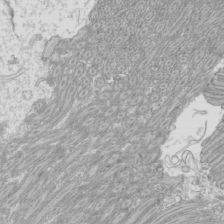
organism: Mouse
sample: Cilia; mouse epididymis